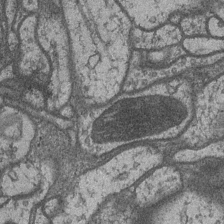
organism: Drosophila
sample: Optic medulla